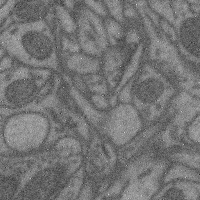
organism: Mouse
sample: Cerebral cortex